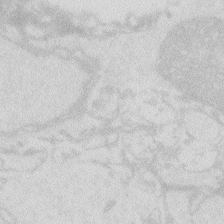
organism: Zebrafish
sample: Macrophage